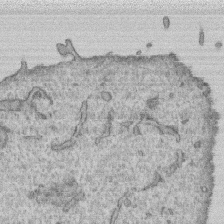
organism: Human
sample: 1205lu cells